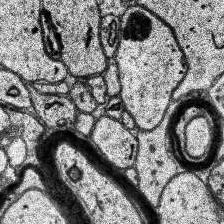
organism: Human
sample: Temporal Lobe